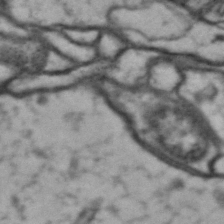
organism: Drosophila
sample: Brain